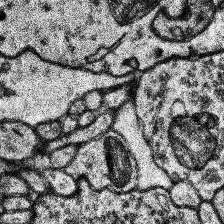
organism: Human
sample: Temporal Lobe